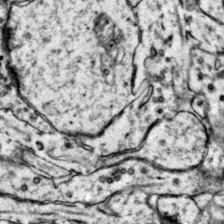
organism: Mouse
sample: Primary visual cortex